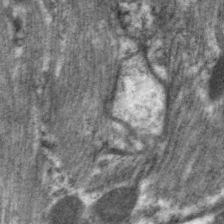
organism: C. elegans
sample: Pharynx